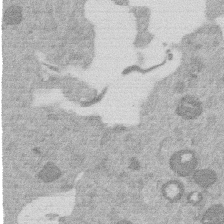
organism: Mouse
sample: Dividing mouse embryo 1 cell stage